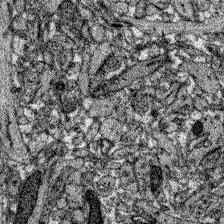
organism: Zebrafish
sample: Larval olfactory bulb